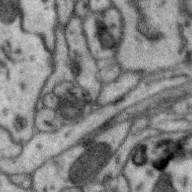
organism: Zebra finch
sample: Brain